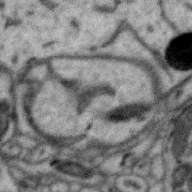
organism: Zebra finch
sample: Brain